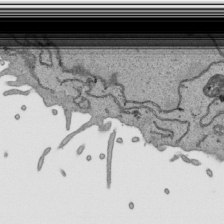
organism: Human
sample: Mitochondria in HCT116 cells